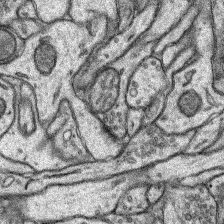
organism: Rat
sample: Hippocampus